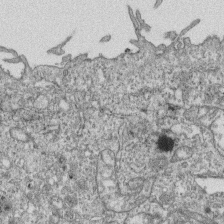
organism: Human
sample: HeLa cell HIV synapse